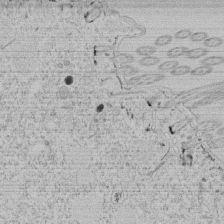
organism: Tetrahymena